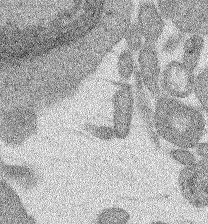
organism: Human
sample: HeLa cells